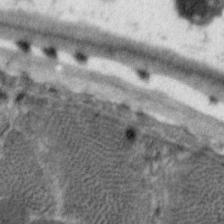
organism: C. elegans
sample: Pharynx